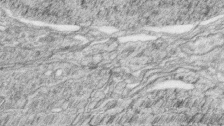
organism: Zebrafish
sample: synaptic ribbons in rod cells and cone cells